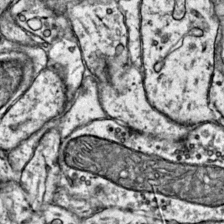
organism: Mouse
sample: Primary visual cortex